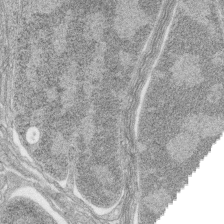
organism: Zebrafish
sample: synaptic ribbons in rod cells and cone cells